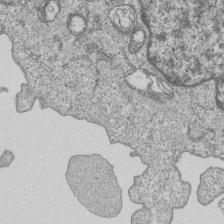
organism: Human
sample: MDA-MB-231 cells